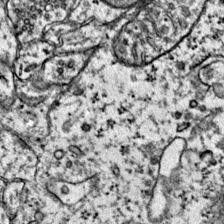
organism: Mouse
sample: Primary visual cortex